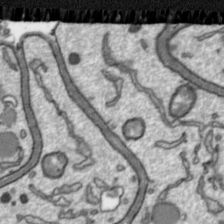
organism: Toxoplasma gondii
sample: Parasites in a vacuole inside a host cell